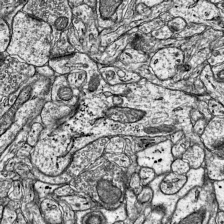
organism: Mouse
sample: Visual Cortex